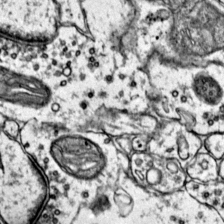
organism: Mouse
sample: Primary visual cortex